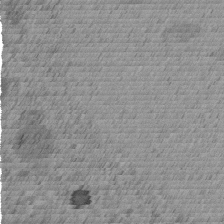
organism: C. elegans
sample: C. elegans embryo early stage